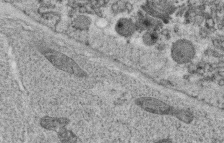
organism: C. elegans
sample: C. elegans oocyte; sperm cells